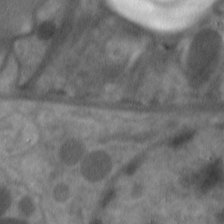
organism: C. elegans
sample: Pharynx